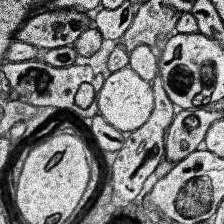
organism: Human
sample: Temporal Lobe